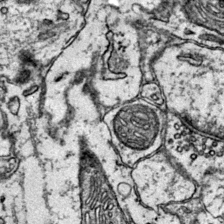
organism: Mouse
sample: Primary visual cortex